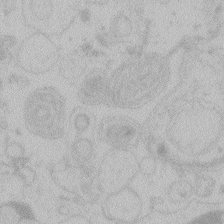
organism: Zebrafish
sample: Macrophage infected with Toxoplasma gondii